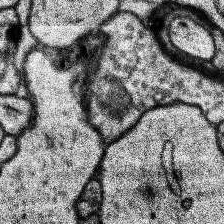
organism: Human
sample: Temporal Lobe